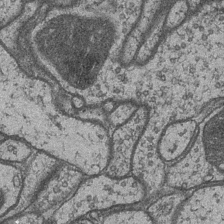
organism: Drosophila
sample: Optic medulla